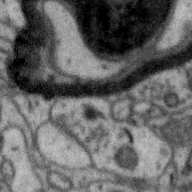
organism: Zebra finch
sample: Brain